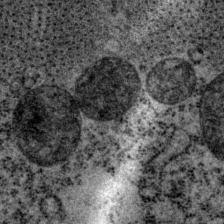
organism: P. pacificus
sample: Pharynx